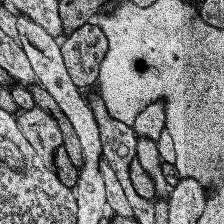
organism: Human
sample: Temporal Lobe